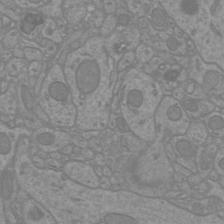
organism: Mouse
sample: Cortical neurons